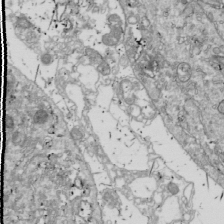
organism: Drosophila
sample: Cell division; meiosis; drosophila spermatocytes